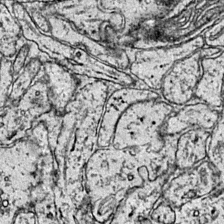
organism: Mouse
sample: Primary visual cortex